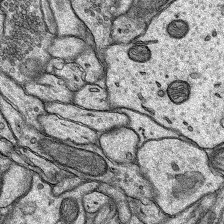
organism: Rat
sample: Hippocampus